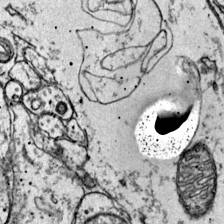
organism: Mouse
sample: Primary visual cortex